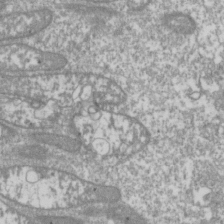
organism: Drosophila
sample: Cell division; meiosis; drosophila spermatocytes